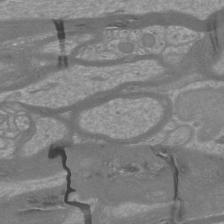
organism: Mouse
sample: Cortical neurons